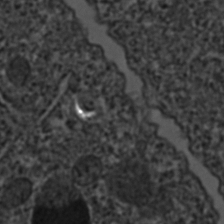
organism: C. elegans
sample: C. elegans embryo